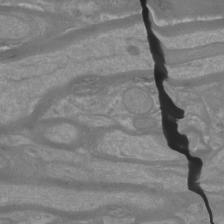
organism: Mouse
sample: Cortical neurons